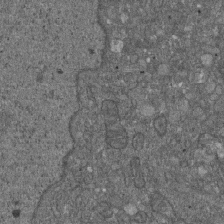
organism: Drosophila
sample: Nephrocyte